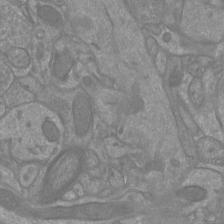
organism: Mouse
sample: Cortical neurons